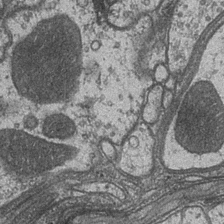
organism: Drosophila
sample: Optic medulla